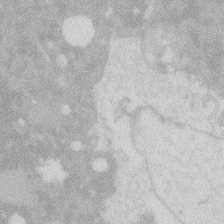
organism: Zebrafish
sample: Macrophage